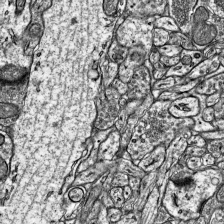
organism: Mouse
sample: Visual Cortex